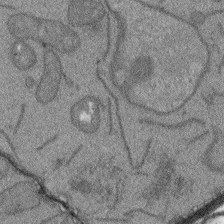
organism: Arabidopsis thaliana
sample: Root tip